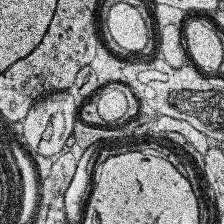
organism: Human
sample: Temporal Lobe